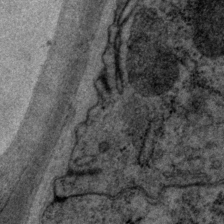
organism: P. pacificus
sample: Pharynx